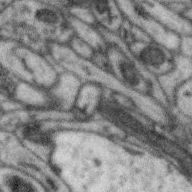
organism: Zebra finch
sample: Brain